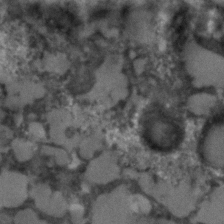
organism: C. elegans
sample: C. elegans embryo